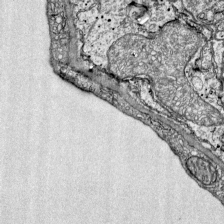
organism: Mouse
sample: Visual Cortex